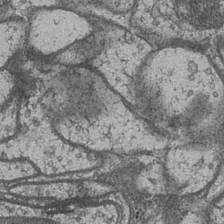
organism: Drosophila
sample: Optic medulla